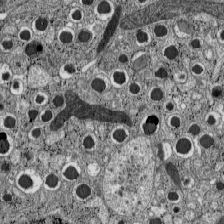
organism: C57BL Mouse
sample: Pancreatic islet